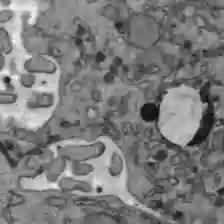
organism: C57BL Mouse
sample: Liver